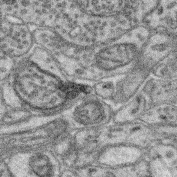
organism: Mouse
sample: Retina